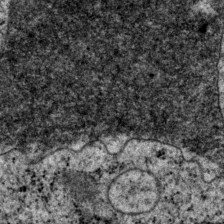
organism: P. pacificus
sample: Pharynx